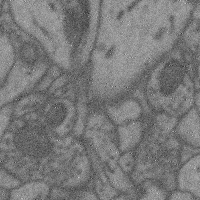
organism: Mouse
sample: Cerebral cortex